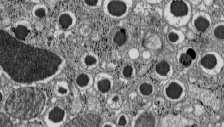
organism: C57BL Mouse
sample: Pancreatic islet